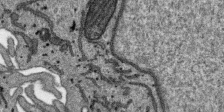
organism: Human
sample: Lung epithelial cells, uninfected (mock) control